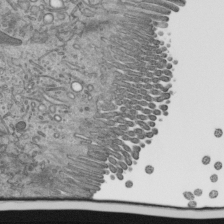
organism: Mouse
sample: Mouse epididymis efferent ductule cilia